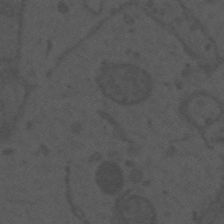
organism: Mouse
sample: Suprachiasmatic nucleus